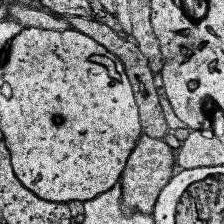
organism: Human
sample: Temporal Lobe